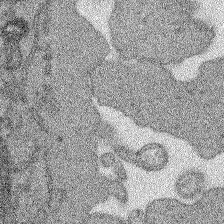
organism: Human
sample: HeLa cells